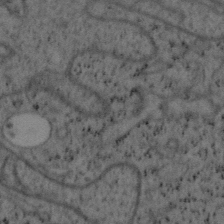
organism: Human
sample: HeLa cells